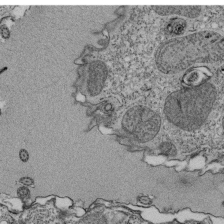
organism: Tetrahymena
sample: Cilia in tetrahymena